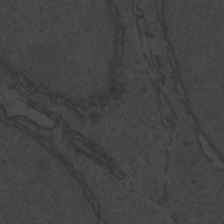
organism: Zebrafish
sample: Macrophage infected with Toxoplasma gondii